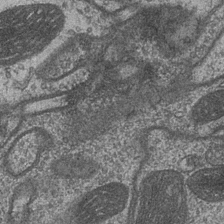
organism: Drosophila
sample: Optic medulla